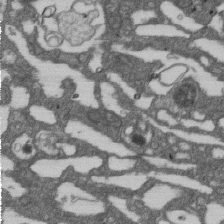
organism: Drosophila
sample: Nephrocyte